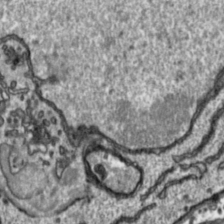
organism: Toxoplasma gondii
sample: Parasites in a vacuole inside a host cell